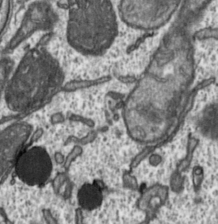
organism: Toxoplasma gondii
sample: Parasites in a vacuole inside a host cell